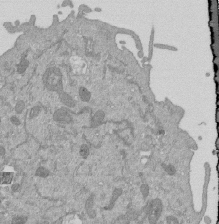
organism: Mouse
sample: ED-1 cell nuclei; centrioles